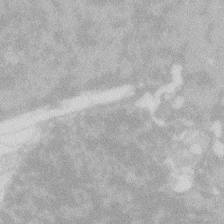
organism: Zebrafish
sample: Macrophage